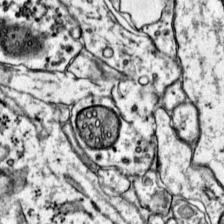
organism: Mouse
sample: Primary visual cortex